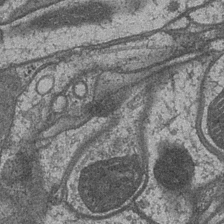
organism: Drosophila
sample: Optic medulla